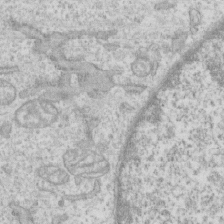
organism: Human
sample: CRL-1474